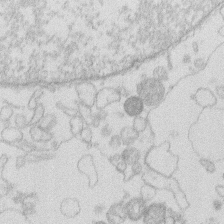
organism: Human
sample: Macrophage cells